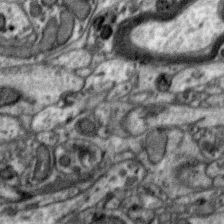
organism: Zebra finch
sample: Brain